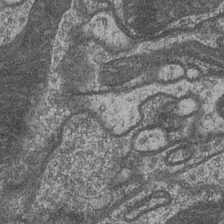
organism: Drosophila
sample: Optic medulla